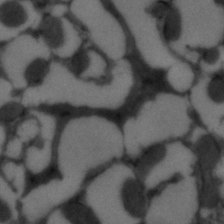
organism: C. elegans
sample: C. elegans embryo